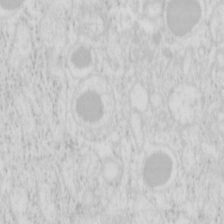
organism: Mouse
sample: Pancreas